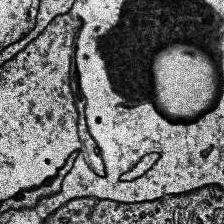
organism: Human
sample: Temporal Lobe